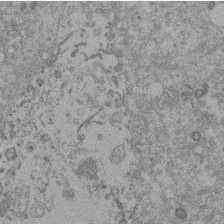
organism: Mouse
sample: Dividing mouse embryo 1 cell stage